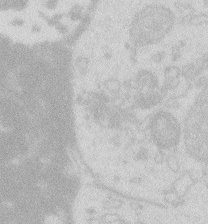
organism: Zebrafish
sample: Macrophage